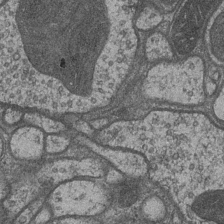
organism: Drosophila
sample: Optic medulla